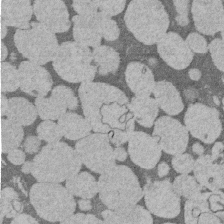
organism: Rat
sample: Salivary granule